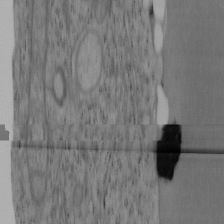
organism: Human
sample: HeLa cells